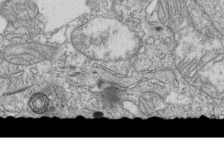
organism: Human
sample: HeLa cell HIV synapse